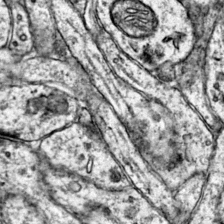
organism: Mouse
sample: Primary visual cortex